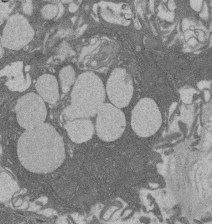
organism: Rat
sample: Salivary granule